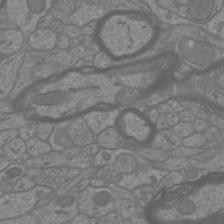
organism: Mouse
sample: Cortical neurons